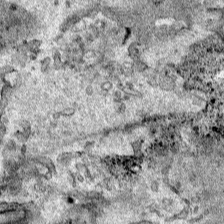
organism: Human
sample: Mitochondria in HCT116 cells